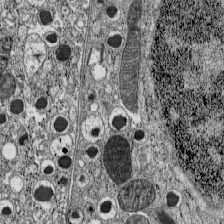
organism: C57BL Mouse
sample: Pancreatic islet